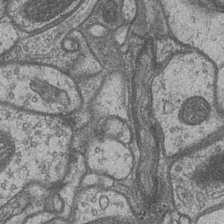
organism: Drosophila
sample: Optic medulla